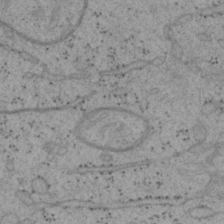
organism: Human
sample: HeLa cells